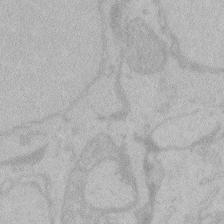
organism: Zebrafish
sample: Macrophage infected with Toxoplasma gondii